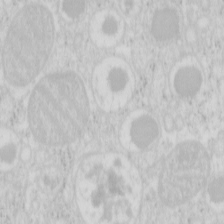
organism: Mouse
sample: Pancreas